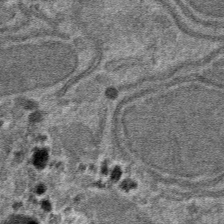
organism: Mouse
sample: Mouse hepatocytes